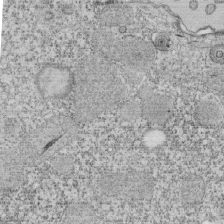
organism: Tetrahymena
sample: Cilia in tetrahymena